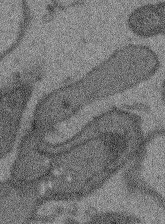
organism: Arabidopsis thaliana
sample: Root tip